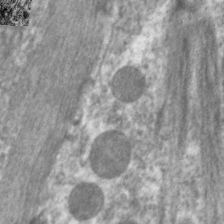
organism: C. elegans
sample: Pharynx